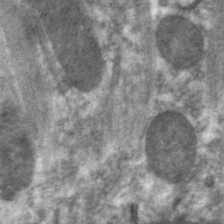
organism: C. elegans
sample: Pharynx